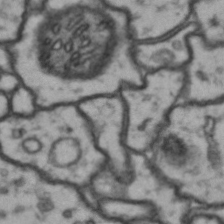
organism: Drosophila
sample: Brain